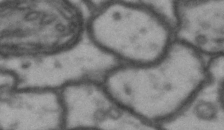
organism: Drosophila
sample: Brain